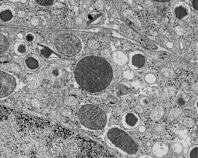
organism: C57BL Mouse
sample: Pancreatic islet